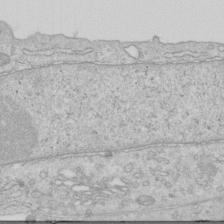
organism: Human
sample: Centriole in RPE cells